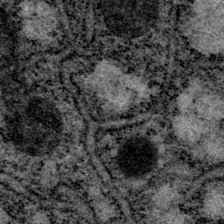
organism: P. pacificus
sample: Pharynx